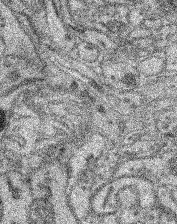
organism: Mouse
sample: Retina